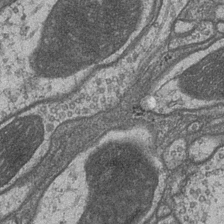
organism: Drosophila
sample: Optic medulla